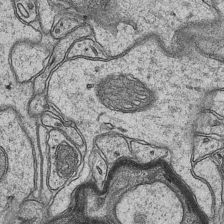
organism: Mouse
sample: CA1 Hippocampus